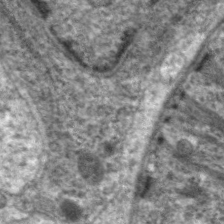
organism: C. elegans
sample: Pharynx